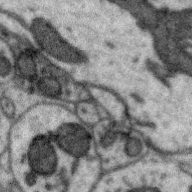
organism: Zebra finch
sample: Brain